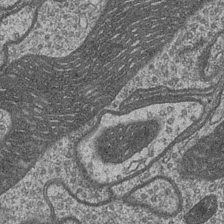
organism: Drosophila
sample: Optic medulla